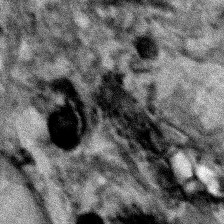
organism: Human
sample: Mitochondria in HCT116 cells